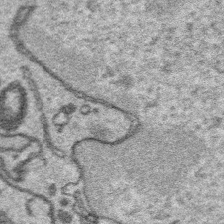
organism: Platynereis dumerilii